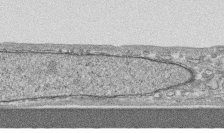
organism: Human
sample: CRL-1474